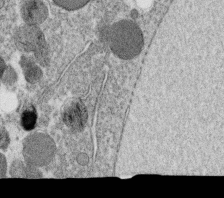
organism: C. elegans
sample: C. elegans oocyte; sperm cells